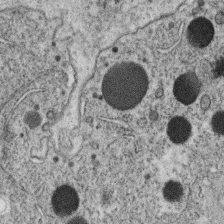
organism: C. elegans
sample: C. elegans oocyte; sperm cells